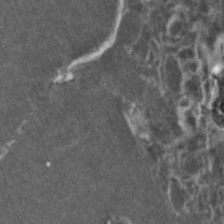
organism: Zebrafish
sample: Zebrafish embryo